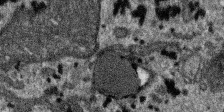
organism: Human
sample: Lung epithelial cells infected with SARS-CoV-2